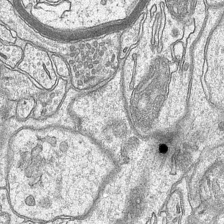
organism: Mouse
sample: CA1 Hippocampus